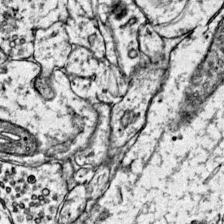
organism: Mouse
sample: Primary visual cortex